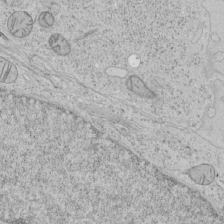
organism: Human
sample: Mitochondria in HCT116 cells